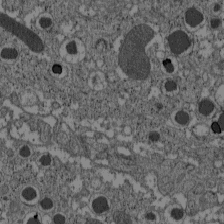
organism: C57BL Mouse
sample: Pancreatic islet